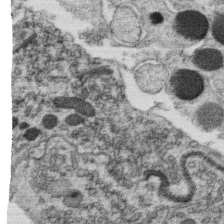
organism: C. elegans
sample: C. elegans oocyte; sperm cells